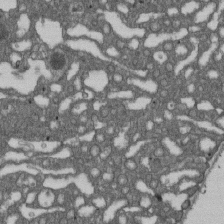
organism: Drosophila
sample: Nephrocyte